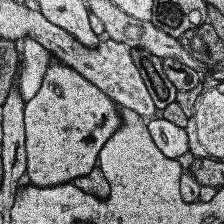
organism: Human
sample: Temporal Lobe